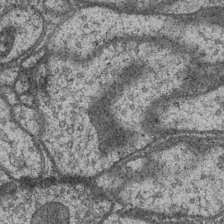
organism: Drosophila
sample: Optic medulla